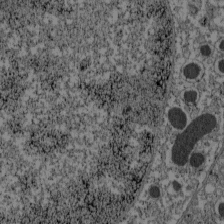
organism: C57BL Mouse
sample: Pancreatic islet